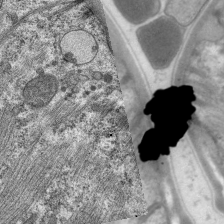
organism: C. elegans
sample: Pharynx